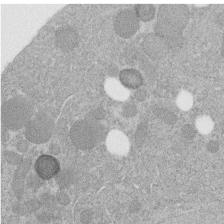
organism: C. elegans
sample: C. elegans embryo early stage